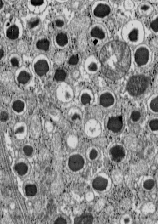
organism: C57BL Mouse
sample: Pancreatic islet